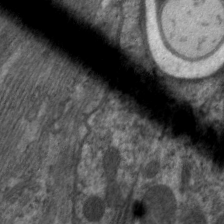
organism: C. elegans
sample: Pharynx